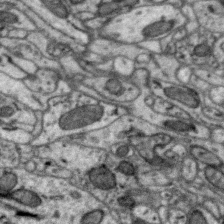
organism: Zebra finch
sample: Brain